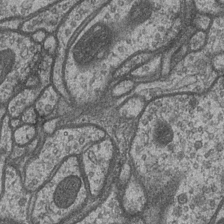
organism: Drosophila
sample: Optic medulla